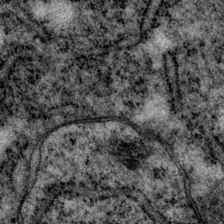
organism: P. pacificus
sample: Pharynx